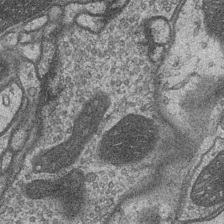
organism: Drosophila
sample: Optic medulla